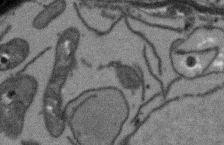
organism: Arabidopsis thaliana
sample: Root tip